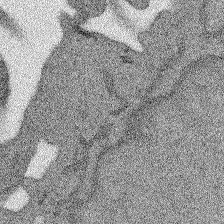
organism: Human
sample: HeLa cells